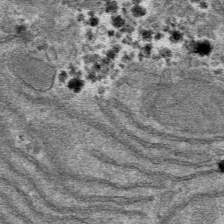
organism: Mouse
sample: Mouse hepatocytes